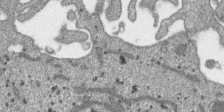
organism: Human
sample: Lung epithelial cells infected with SARS-CoV-2